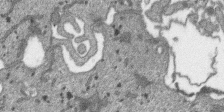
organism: Human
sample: Lung epithelial cells infected with SARS-CoV-2